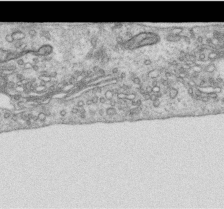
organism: Human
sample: Centriole in RPE cells